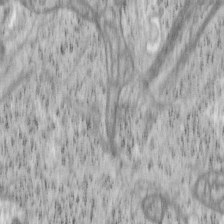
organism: Human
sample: HeLa cells